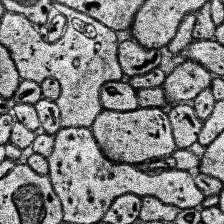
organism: Human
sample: Temporal Lobe